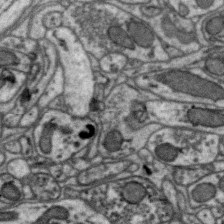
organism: Zebra finch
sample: Brain